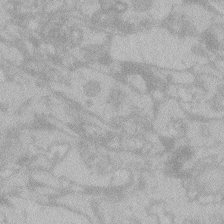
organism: Zebrafish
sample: Macrophage infected with Toxoplasma gondii